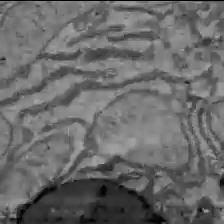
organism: C57BL Mouse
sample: Liver